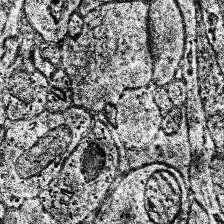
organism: Human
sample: Temporal Lobe